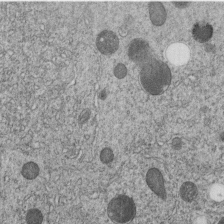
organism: C. elegans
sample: C. elegans embryo early stage